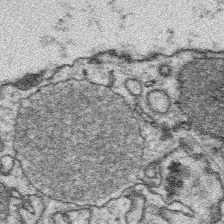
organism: Platynereis dumerilii